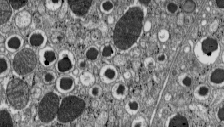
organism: C57BL Mouse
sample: Pancreatic islet